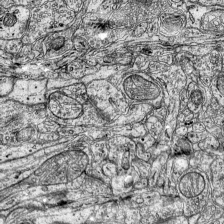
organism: Mouse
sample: Visual Cortex